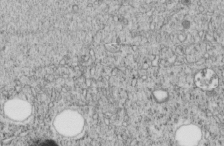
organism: C. elegans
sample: C. elegans embryo early stage